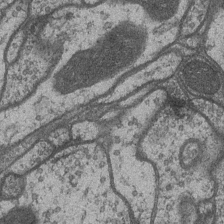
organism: Drosophila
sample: Optic medulla